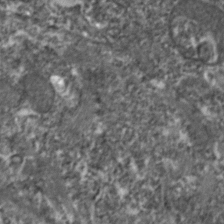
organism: Zebrafish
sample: Zebrafish embryo